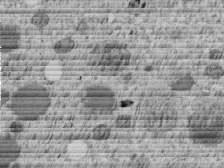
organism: C. elegans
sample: C. elegans embryo early stage